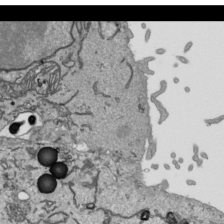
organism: Human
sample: Mitochondria in HCT116 cells